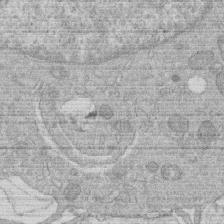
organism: Human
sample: Macrophage cells